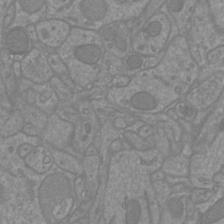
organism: Mouse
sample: Cortical neurons